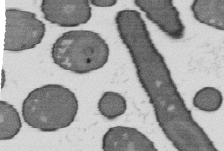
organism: B. subtilis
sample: Bacterial spore